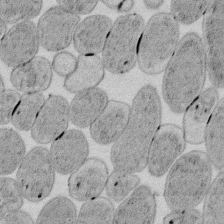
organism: E. coli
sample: Bacterial nucleoid